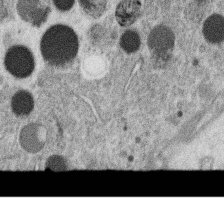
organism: C. elegans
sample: C. elegans oocyte; sperm cells